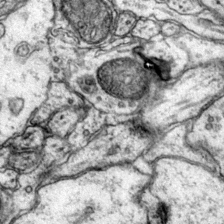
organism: Mouse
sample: Primary visual cortex